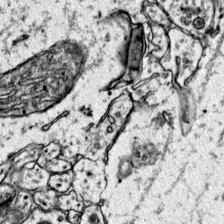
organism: Mouse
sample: Primary visual cortex